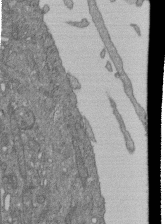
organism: Human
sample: Retinal organoid Rod and Cone cells